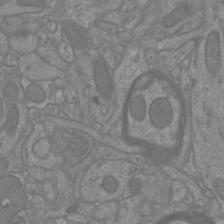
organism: Mouse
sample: Cortical neurons